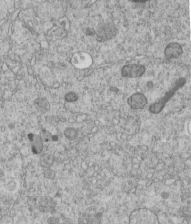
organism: C. elegans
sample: C. elegans embryo early stage